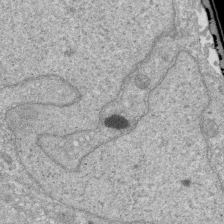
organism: Human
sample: HeLa cell HIV synapse